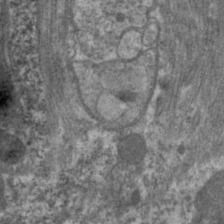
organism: C. elegans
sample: Pharynx